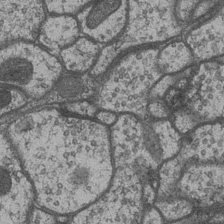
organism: Drosophila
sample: Optic medulla